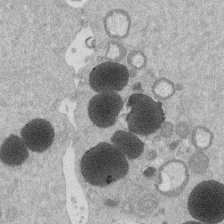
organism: Mouse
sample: Dividing mouse embryo 1 cell stage